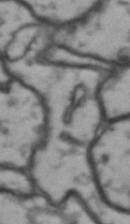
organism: Drosophila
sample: Brain